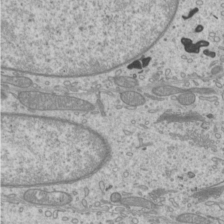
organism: Mouse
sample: Cilia; mouse epididymis